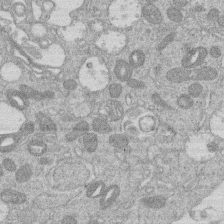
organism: Human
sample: Macrophage cells